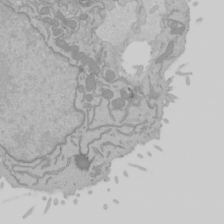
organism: Mouse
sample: Cancer cell death in ED-1 cells